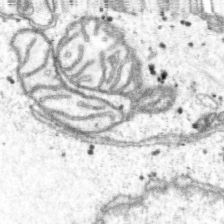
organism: Human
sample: HeLa cells